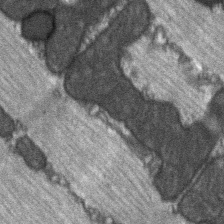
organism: C57BL Mouse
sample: Soleus